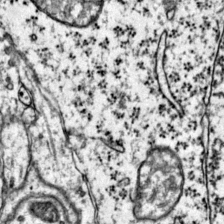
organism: Mouse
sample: Primary visual cortex